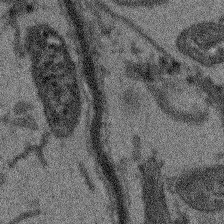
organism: Arabidopsis thaliana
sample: Root tip